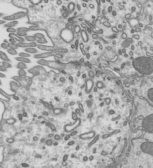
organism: Mouse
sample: Mouse epididymis efferent ductule cilia